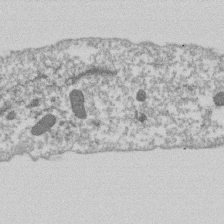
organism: Dictyostelium discoideum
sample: Dictyostelium multivesicular bodies